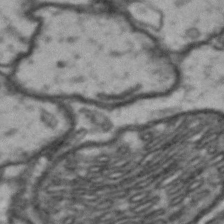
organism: Drosophila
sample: Brain